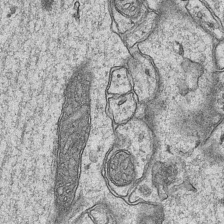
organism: Mouse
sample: CA1 Hippocampus